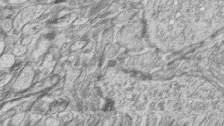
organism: Zebrafish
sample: synaptic ribbons in rod cells and cone cells